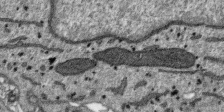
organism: Human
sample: Lung epithelial cells, uninfected (mock) control